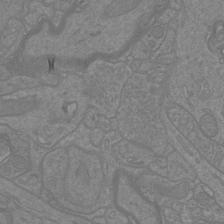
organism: Mouse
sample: Cortical neurons